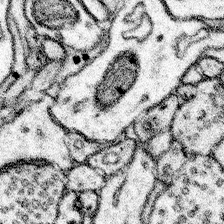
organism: Mouse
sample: Somatosensory cortex neuropil